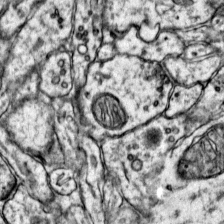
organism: Mouse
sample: Primary visual cortex